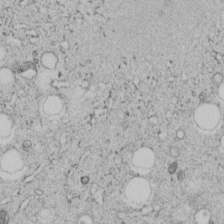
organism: C. elegans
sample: C. elegans embryo early stage